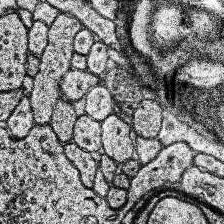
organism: Human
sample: Temporal Lobe